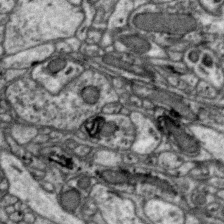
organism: Zebra finch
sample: Brain